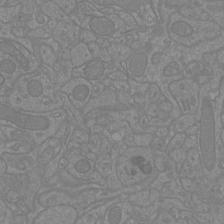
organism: Mouse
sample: Cortical neurons